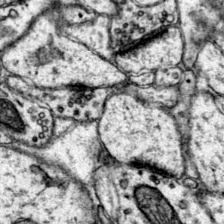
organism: Mouse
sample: Primary visual cortex